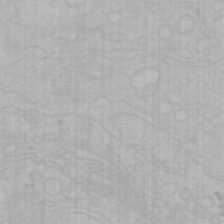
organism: Mouse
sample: Choroid plexus